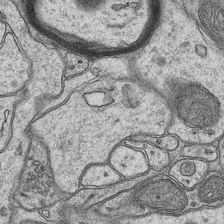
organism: Mouse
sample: CA1 Hippocampus